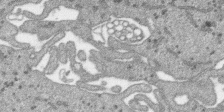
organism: Human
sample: Lung epithelial cells infected with SARS-CoV-2